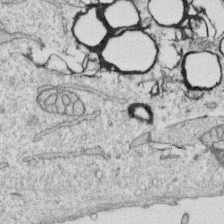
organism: Human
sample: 1205lu cells